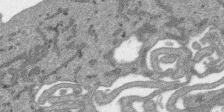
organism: Human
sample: Lung epithelial cells infected with SARS-CoV-2